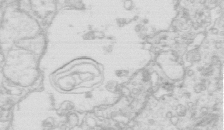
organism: Mouse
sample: Multiciliated cells